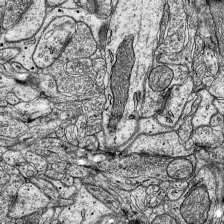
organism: Mouse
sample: Visual Cortex